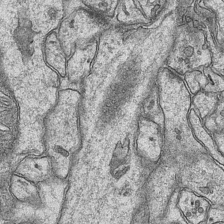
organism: Mouse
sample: CA1 Hippocampus